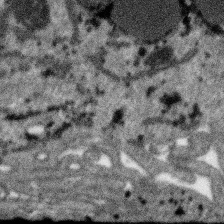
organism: Human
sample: Lung epithelial cells infected with SARS-CoV-2